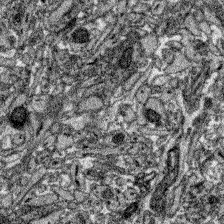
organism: Zebrafish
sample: Larval olfactory bulb